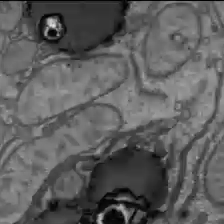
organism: C57BL Mouse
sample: Liver